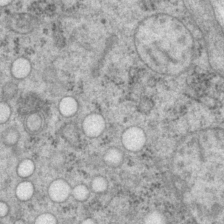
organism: P. pacificus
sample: Pharynx